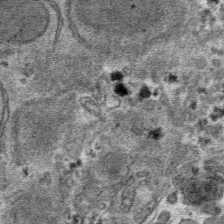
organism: Mouse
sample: Mouse hepatocytes